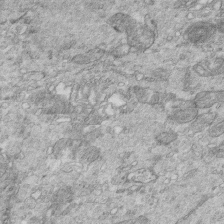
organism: Mouse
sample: Multiciliated cells